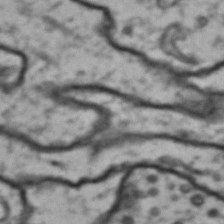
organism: Drosophila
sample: Brain